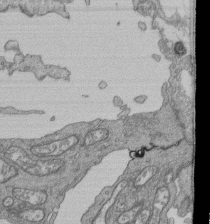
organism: Human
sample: Retinal organoid Rod and Cone cells